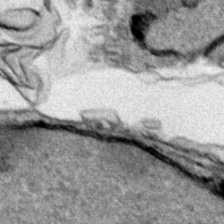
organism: Human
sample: Mitochondria in HCT116 cells